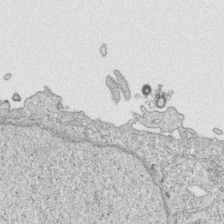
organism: Human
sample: HeLa cell HIV synapse